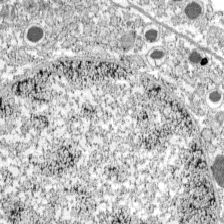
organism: C57BL Mouse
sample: Pancreatic islet